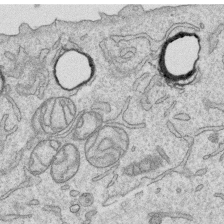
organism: Human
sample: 1205lu cells